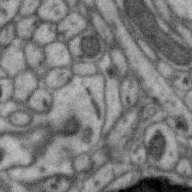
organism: Zebra finch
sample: Brain